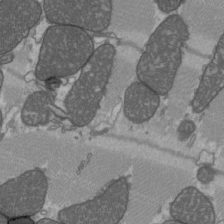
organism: C57BL Mouse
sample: Heart